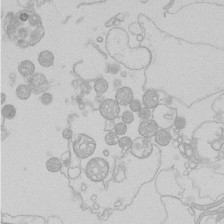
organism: Human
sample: Macrophage cells